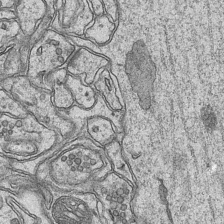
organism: Mouse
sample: CA1 Hippocampus